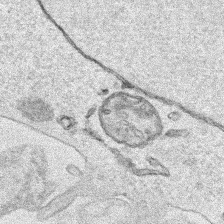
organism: Human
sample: Mitochondria in HCT116 cells